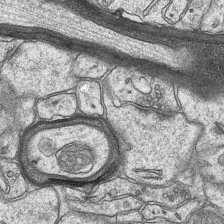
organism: Mouse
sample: CA1 Hippocampus